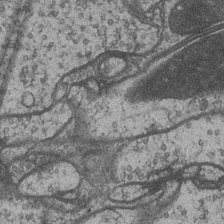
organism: Drosophila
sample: Optic medulla